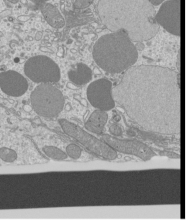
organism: Mouse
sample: Cilia; mouse epididymis